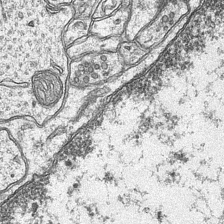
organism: Mouse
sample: CA1 Hippocampus